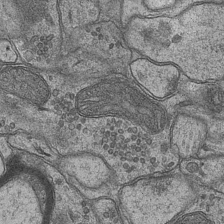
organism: Mouse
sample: CA1 Hippocampus